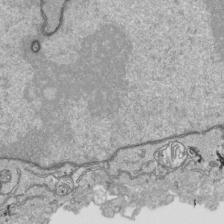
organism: Human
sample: Mitochondria in HCT116 cells